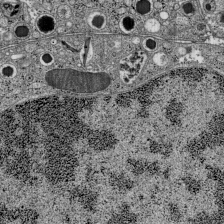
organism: C57BL Mouse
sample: Pancreatic islet